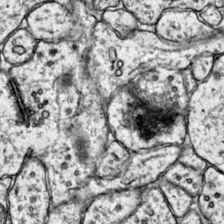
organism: Mouse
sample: Primary visual cortex